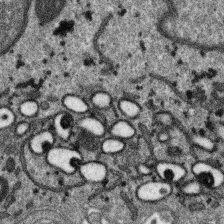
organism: Human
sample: Lung epithelial cells infected with SARS-CoV-2